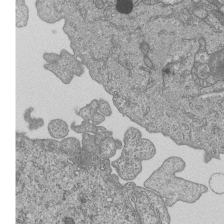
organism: Human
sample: MDA-MB-231 cells